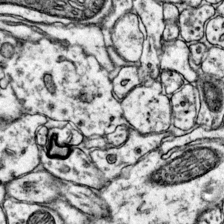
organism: Mouse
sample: Primary visual cortex